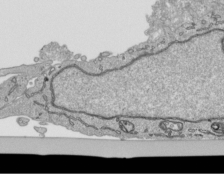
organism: Human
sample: Mitochondria in HCT116 cells